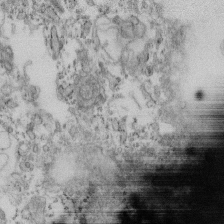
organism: Mouse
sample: Cilia; retinal pigment epithelium